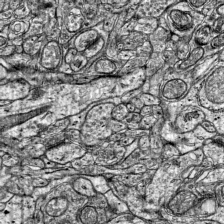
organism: Mouse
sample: Visual Cortex